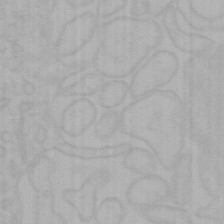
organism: Mouse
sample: Choroid plexus